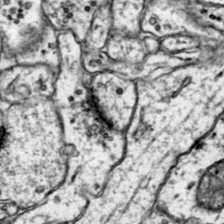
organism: Mouse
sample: Primary visual cortex